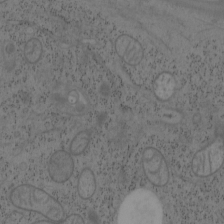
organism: Mouse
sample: OT-I killer T cells with ID8 ovarian cancer cells